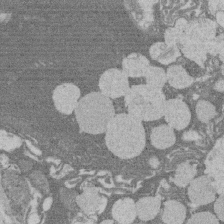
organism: Rat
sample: Salivary granule